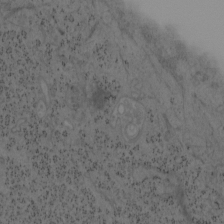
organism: Mouse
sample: OT-I killer T cells with ID8 ovarian cancer cells